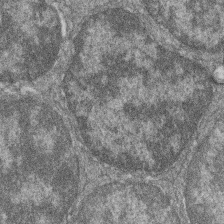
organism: Zebrafish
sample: Cilia; retinal pigment epithelium